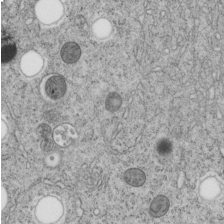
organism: C. elegans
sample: C. elegans embryo early stage